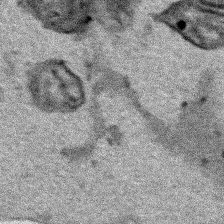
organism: Human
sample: Mitochondria in HCT116 cells